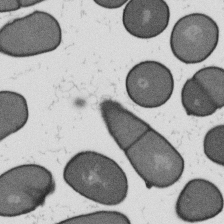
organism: B. subtilis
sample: Bacterial spore